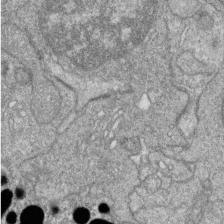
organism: Zebrafish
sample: Cilia; retinal pigment epithelium